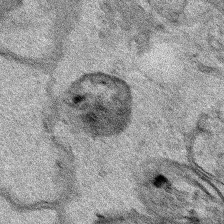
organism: Human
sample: Mitochondria in HCT116 cells